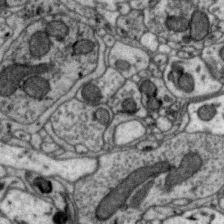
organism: Zebra finch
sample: Brain